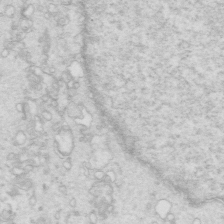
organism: Mouse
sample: Multiciliated cells